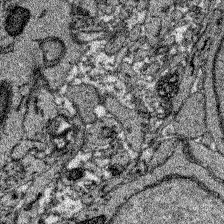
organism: Zebrafish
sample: Larval olfactory bulb